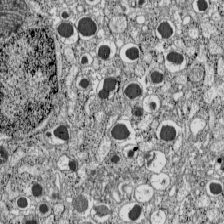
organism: C57BL Mouse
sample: Pancreatic islet